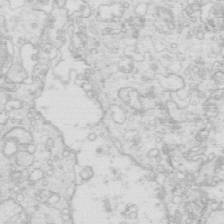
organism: Mouse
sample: Multiciliated cells